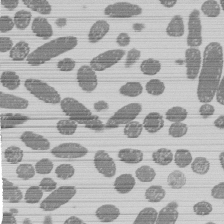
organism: E. coli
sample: Bacterial nucleoid